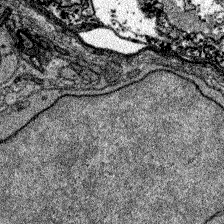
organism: Zebrafish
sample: Larval olfactory bulb